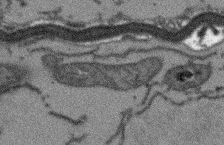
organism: Arabidopsis thaliana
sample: Root tip